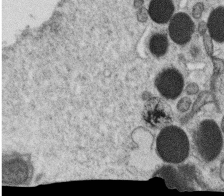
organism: C. elegans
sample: C. elegans oocyte; sperm cells